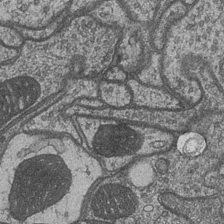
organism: Drosophila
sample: Optic medulla